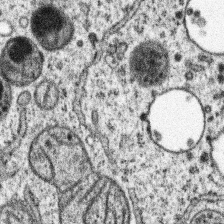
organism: Human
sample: HeLa cells